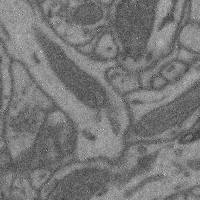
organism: Mouse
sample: Cerebral cortex